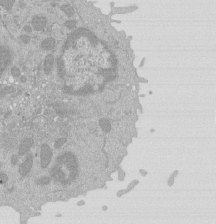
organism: Mouse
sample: Activated Pmel transgenic CD8+ T Cells